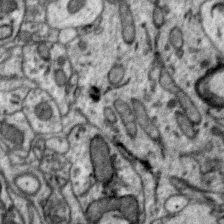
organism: Zebra finch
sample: Brain